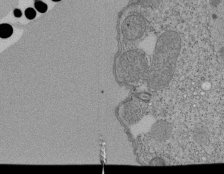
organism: Tetrahymena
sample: Cilia in tetrahymena